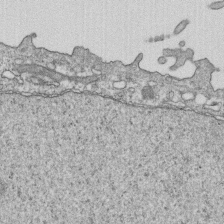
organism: Human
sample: HeLa cell HIV synapse